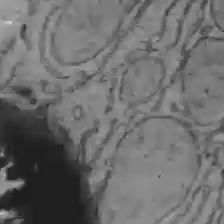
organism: C57BL Mouse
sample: Liver